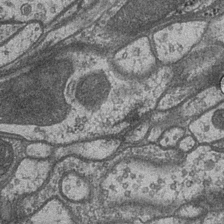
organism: Drosophila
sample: Optic medulla